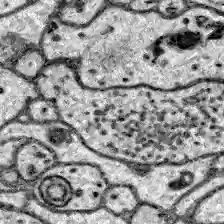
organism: Zebrafish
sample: Brain